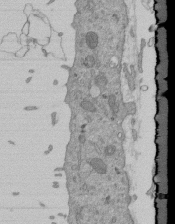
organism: Mouse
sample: ED-1 cell nuclei; centrioles